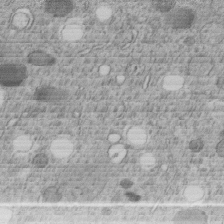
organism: C. elegans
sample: C. elegans embryo early stage